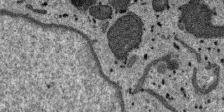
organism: Human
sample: Lung epithelial cells, uninfected (mock) control